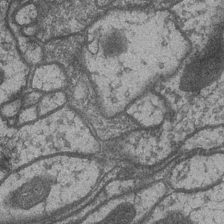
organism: Drosophila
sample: Optic medulla